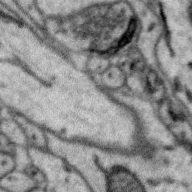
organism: Zebra finch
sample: Brain